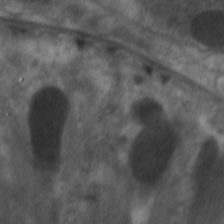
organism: C. elegans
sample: Pharynx